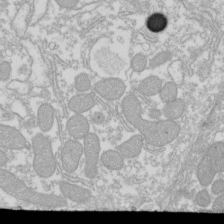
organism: Xenopus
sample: Cilia; centrioles in frog embryo cells